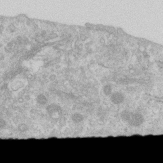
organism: Human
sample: Centriole in RPE cells